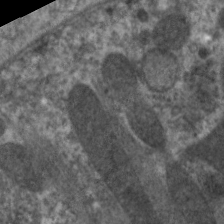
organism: C. elegans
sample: Pharynx